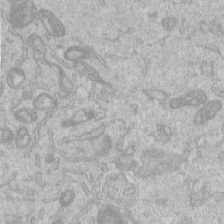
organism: Human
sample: Centriole in RPE cells